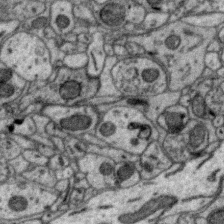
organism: Zebra finch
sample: Brain